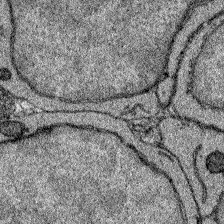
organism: Zebrafish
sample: Larval olfactory bulb